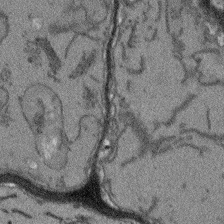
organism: Arabidopsis thaliana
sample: Root tip